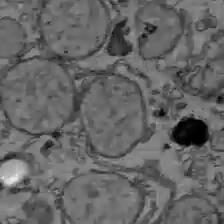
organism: C57BL Mouse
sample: Liver